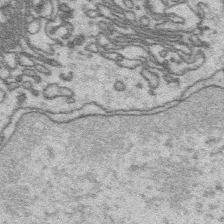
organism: Platynereis dumerilii